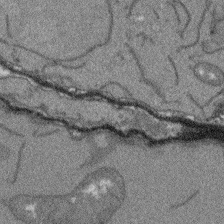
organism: Arabidopsis thaliana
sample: Root tip